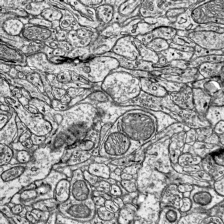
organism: Mouse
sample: Visual Cortex